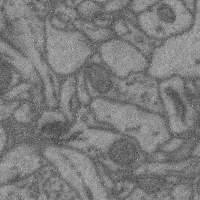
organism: Mouse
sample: Cerebral cortex